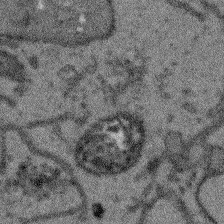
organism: Arabidopsis thaliana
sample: Root tip